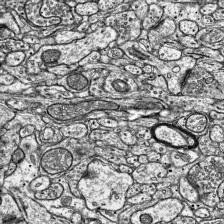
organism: Mouse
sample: Visual Cortex